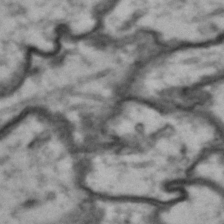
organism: Drosophila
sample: Brain